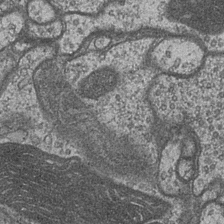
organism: Drosophila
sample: Optic medulla